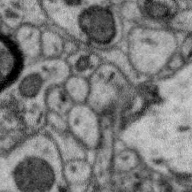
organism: Zebra finch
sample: Brain